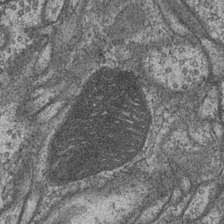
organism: Drosophila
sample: Optic medulla